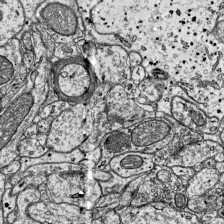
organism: Mouse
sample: Visual Cortex